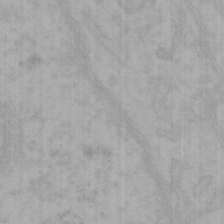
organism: Mouse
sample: Choroid plexus